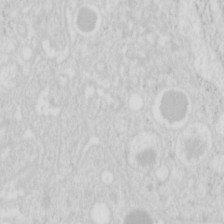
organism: Mouse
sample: Pancreas